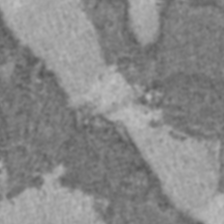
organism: C57BL Mouse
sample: Heart